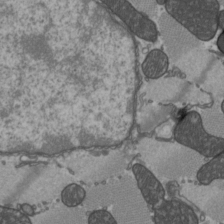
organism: C57BL Mouse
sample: Heart